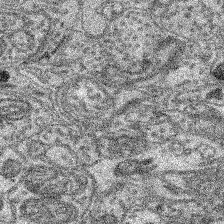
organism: Mouse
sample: Retina